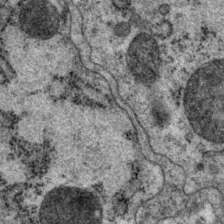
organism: P. pacificus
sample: Pharynx